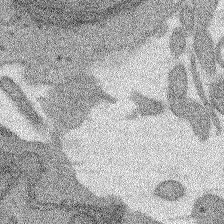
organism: Human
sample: HeLa cells